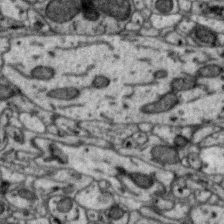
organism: Zebra finch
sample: Brain